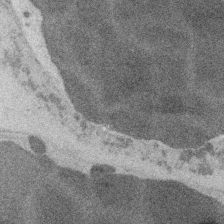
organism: Embia sp.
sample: Silk gland